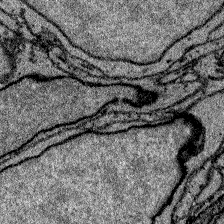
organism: Zebrafish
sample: Larval olfactory bulb